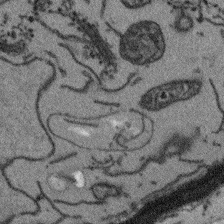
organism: Arabidopsis thaliana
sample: Root tip